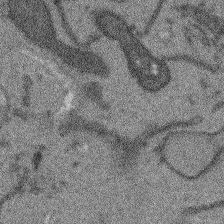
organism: Arabidopsis thaliana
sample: Root tip